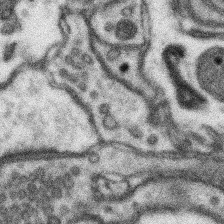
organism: Mouse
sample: Somatosensory cortex neuropil